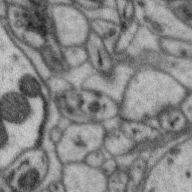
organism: Zebra finch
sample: Brain